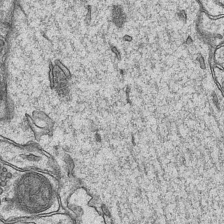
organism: Mouse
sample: CA1 Hippocampus